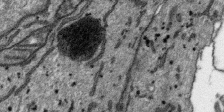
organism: Human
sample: Lung epithelial cells, uninfected (mock) control